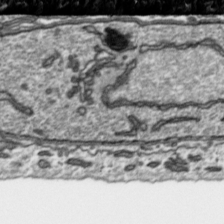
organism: Toxoplasma gondii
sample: Parasites in a vacuole inside a host cell